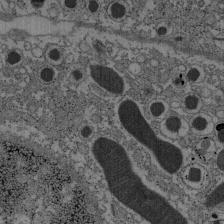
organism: C57BL Mouse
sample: Pancreatic islet